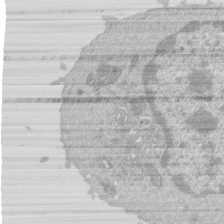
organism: Mouse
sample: Activated Pmel transgenic CD8+ T Cells